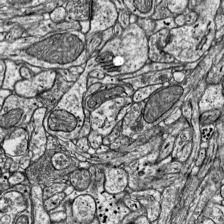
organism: Mouse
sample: Visual Cortex